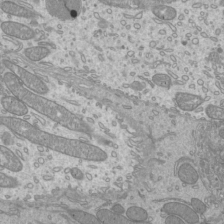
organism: Mouse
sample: Cilia; mouse epididymis